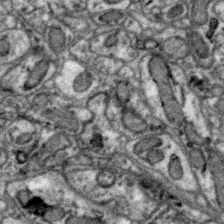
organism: Zebra finch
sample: Brain